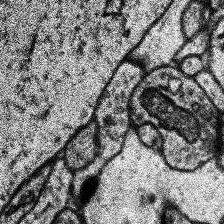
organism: Human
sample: Temporal Lobe